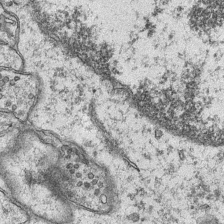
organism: Mouse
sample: CA1 Hippocampus